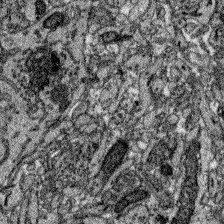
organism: Zebrafish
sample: Larval olfactory bulb